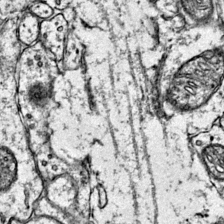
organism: Mouse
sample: Primary visual cortex